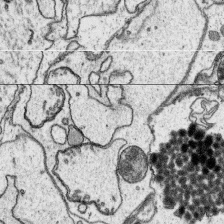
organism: Platynereis dumerilii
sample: Parapodia